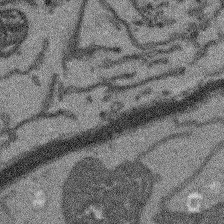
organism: Arabidopsis thaliana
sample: Root tip